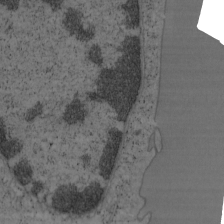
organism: Mouse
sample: OT-I killer T cells with ID8 ovarian cancer cells